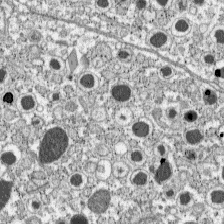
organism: C57BL Mouse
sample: Pancreatic islet